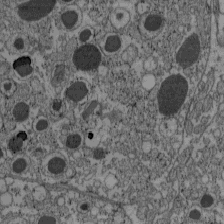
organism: C57BL Mouse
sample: Pancreatic islet